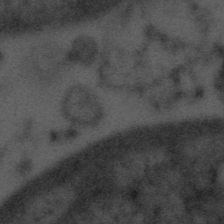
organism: Tuwongella immobilis